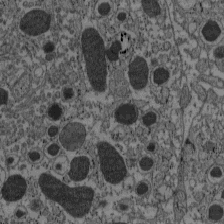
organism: C57BL Mouse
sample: Pancreatic islet